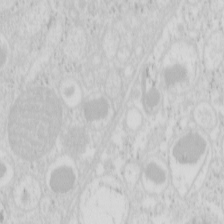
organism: Mouse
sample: Pancreas